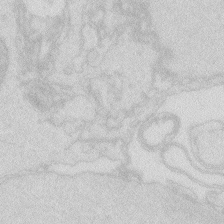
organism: Zebrafish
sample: Macrophage